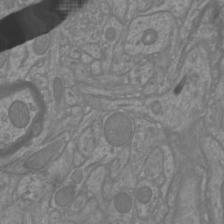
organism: Mouse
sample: Cortical neurons